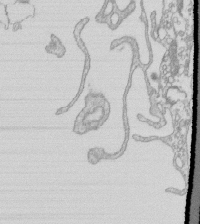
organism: Mouse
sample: Macrophages